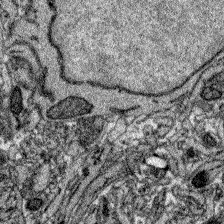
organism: Zebrafish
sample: Larval olfactory bulb